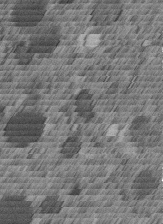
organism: C. elegans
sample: C. elegans embryo early stage